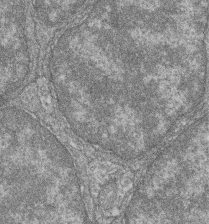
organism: Zebrafish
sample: Cilia; retinal pigment epithelium